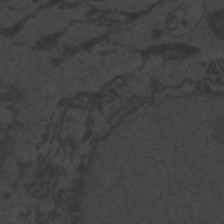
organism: Zebrafish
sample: Macrophage infected with Toxoplasma gondii